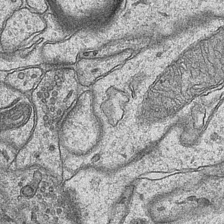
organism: Mouse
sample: CA1 Hippocampus